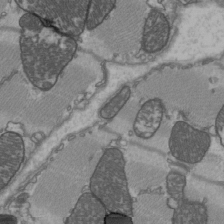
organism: C57BL Mouse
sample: Heart